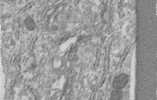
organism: Human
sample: Centriole in RPE cells